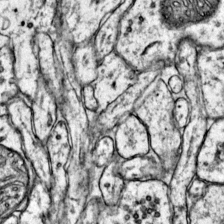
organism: Mouse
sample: Primary visual cortex